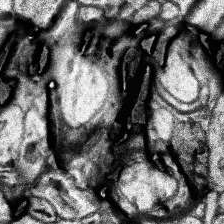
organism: Human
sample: Temporal Lobe